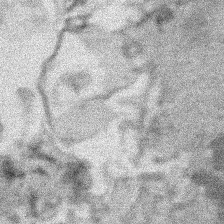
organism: Human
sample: Mitochondria in HCT116 cells